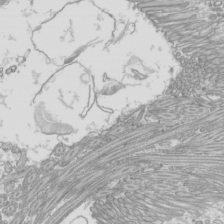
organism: Mouse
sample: Cilia; mouse epididymis